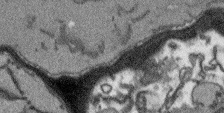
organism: Arabidopsis thaliana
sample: Root tip